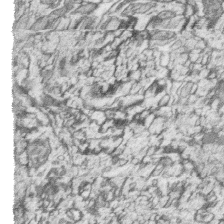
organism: Zebrafish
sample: synaptic ribbons in rod cells and cone cells